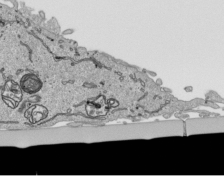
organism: Human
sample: Mitochondria in HCT116 cells